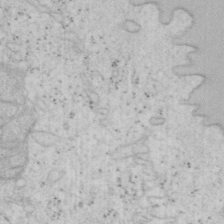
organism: Human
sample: HeLa cells